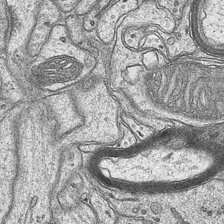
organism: Mouse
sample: CA1 Hippocampus